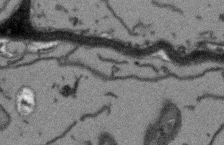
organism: Arabidopsis thaliana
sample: Root tip